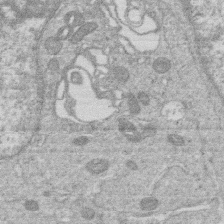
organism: Human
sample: Macrophage cells